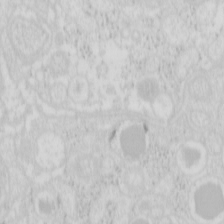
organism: Mouse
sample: Pancreas